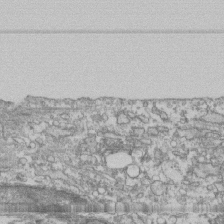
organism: Human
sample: Fibroblast cells